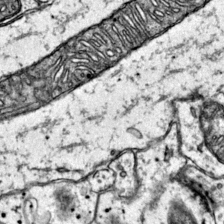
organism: Mouse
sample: Primary visual cortex